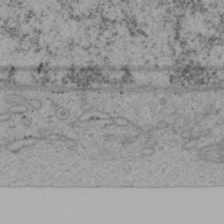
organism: Human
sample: HeLa cells